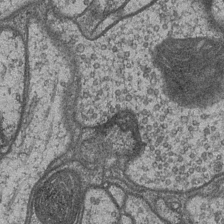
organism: Drosophila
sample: Optic medulla